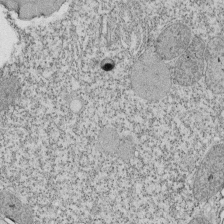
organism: Tetrahymena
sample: Cilia in tetrahymena